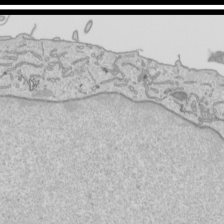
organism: Human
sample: Mitochondria in HCT116 cells